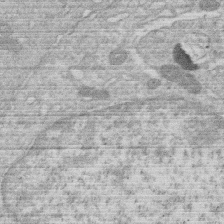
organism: Human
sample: Macrophage cells